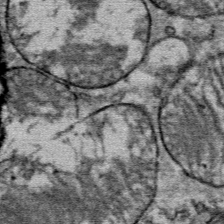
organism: Mouse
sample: Mouse Salivary gland